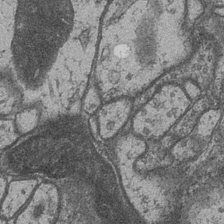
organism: Drosophila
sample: Optic medulla